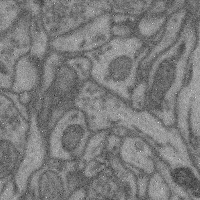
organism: Mouse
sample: Cerebral cortex